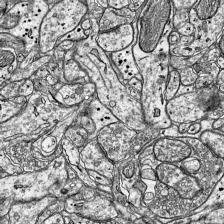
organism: Mouse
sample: Visual Cortex